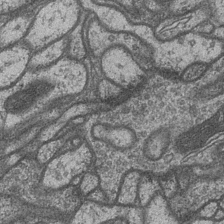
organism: Drosophila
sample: Optic medulla